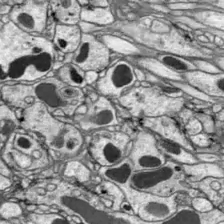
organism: Drosophila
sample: Optic lobe